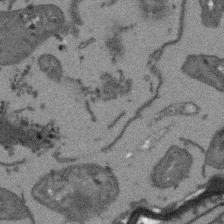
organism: Arabidopsis thaliana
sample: Root tip